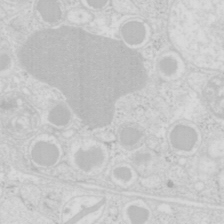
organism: Mouse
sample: Pancreas